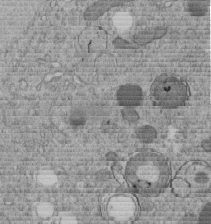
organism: C. elegans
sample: C. elegans embryo early stage